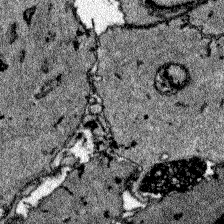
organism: Zebrafish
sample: Larval olfactory bulb